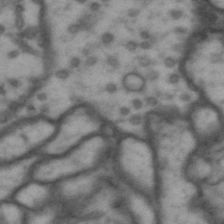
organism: Drosophila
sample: Brain